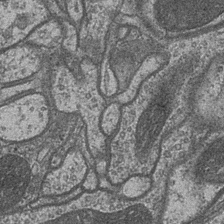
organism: Drosophila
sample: Optic medulla